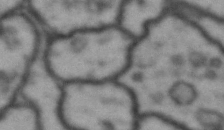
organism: Drosophila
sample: Brain